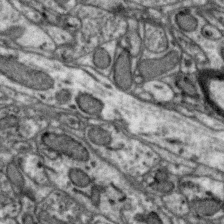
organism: Zebra finch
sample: Brain